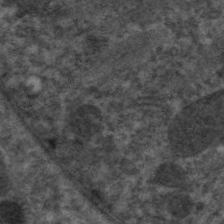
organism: C. elegans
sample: Pharynx